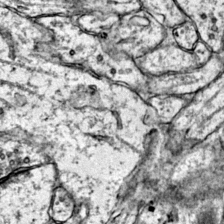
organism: Mouse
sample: Primary visual cortex